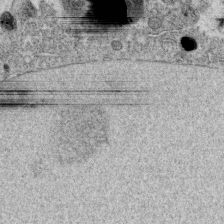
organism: C. elegans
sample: C. elegans oocyte; sperm cells